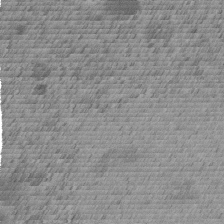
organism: C. elegans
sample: C. elegans embryo early stage